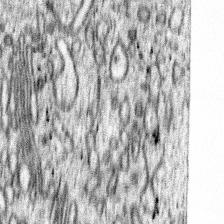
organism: Human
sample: HeLa cells